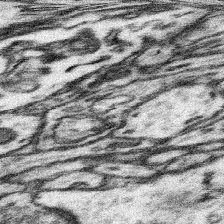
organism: Mouse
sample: Somatosensory cortex neuropil